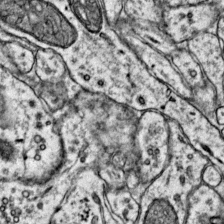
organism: Mouse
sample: Primary visual cortex